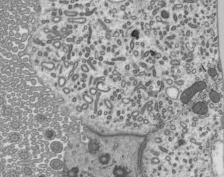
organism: Mouse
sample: Mouse epididymis efferent ductule cilia